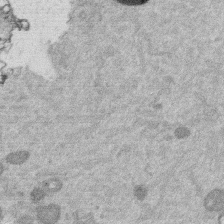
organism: Mouse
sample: Dividing mouse embryo 1 cell stage